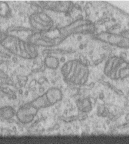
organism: Human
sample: Centriole in RPE cells